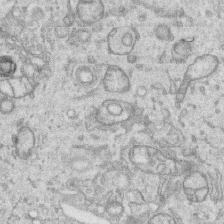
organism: Human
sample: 1205lu cells